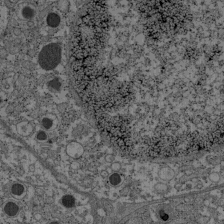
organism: C57BL Mouse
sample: Pancreatic islet